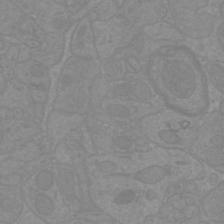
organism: Mouse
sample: Cortical neurons